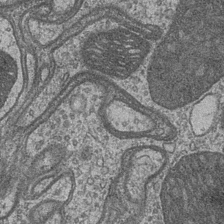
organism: Drosophila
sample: Optic medulla